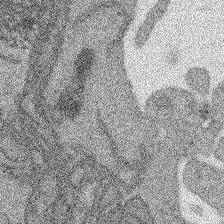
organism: Human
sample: HeLa cells